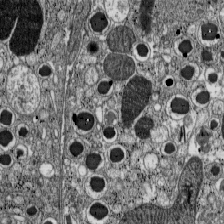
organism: C57BL Mouse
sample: Pancreatic islet